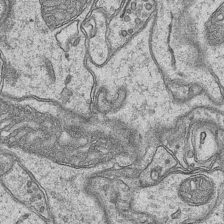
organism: Mouse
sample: CA1 Hippocampus